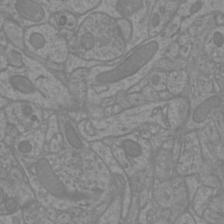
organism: Mouse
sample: Cortical neurons